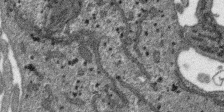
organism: Human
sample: Lung epithelial cells infected with SARS-CoV-2